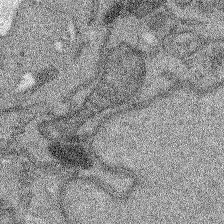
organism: Human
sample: HeLa cells